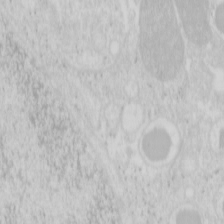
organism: Mouse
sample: Pancreas